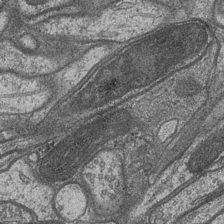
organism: Drosophila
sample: Optic medulla